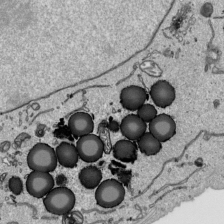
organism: Human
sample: Mitochondria in HCT116 cells